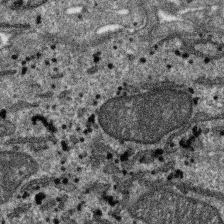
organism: Human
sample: Lung epithelial cells infected with SARS-CoV-2